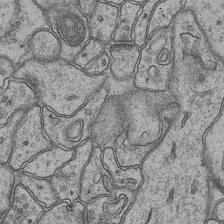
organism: Mouse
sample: CA1 Hippocampus